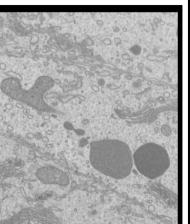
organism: Mouse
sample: Cilia; mouse epididymis